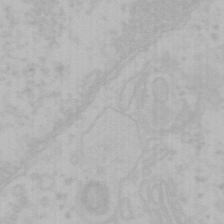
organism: Mouse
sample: Choroid plexus